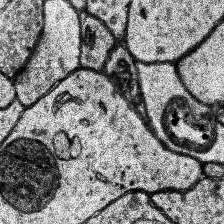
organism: Human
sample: Temporal Lobe